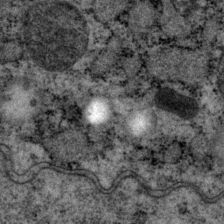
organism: P. pacificus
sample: Pharynx